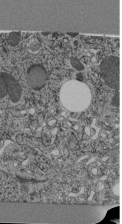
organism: C. elegans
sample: C. elegans pharynx